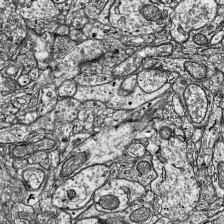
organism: Mouse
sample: Visual Cortex